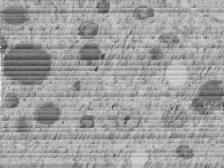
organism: C. elegans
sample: C. elegans embryo early stage